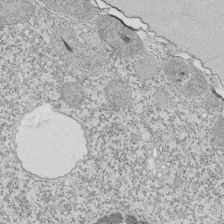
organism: Tetrahymena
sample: Cilia in tetrahymena